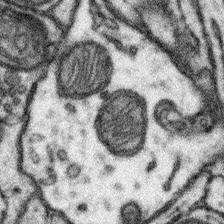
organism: Mouse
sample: Somatosensory cortex neuropil